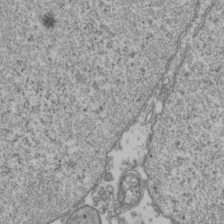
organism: Human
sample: Activated Jurkat CD4+ T cells